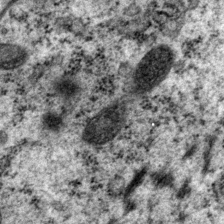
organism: P. pacificus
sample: Pharynx